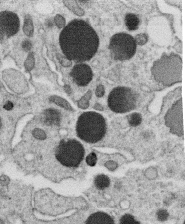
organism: C. elegans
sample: C. elegans oocyte; sperm cells